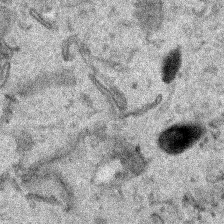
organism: Human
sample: Mitochondria in HCT116 cells